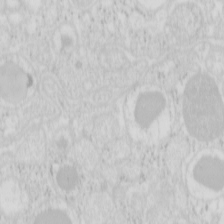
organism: Mouse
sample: Pancreas